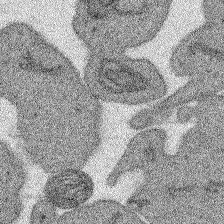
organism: Human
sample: HeLa cells